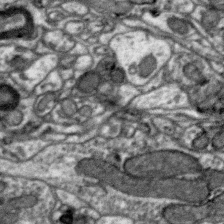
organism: Zebra finch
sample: Brain